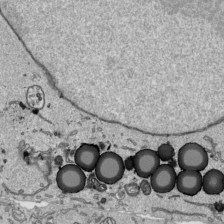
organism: Human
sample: Mitochondria in HCT116 cells